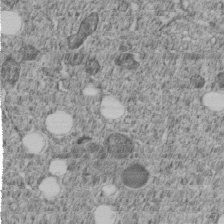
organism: C. elegans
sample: C. elegans embryo early stage